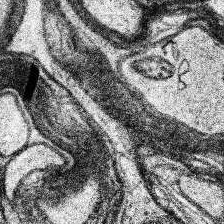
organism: Human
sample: Temporal Lobe